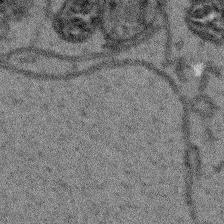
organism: Arabidopsis thaliana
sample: Root tip